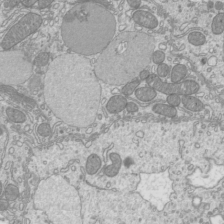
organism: Mouse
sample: Cilia; mouse epididymis